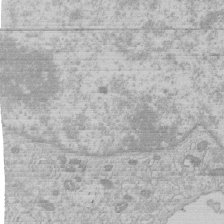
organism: Human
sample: Macrophage cells